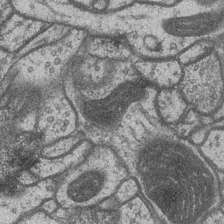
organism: Drosophila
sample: Optic medulla